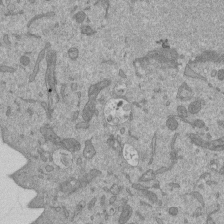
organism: Mouse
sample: ED-1 cell nuclei; centrioles